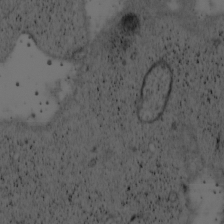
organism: African green monkey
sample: COS-7 cells